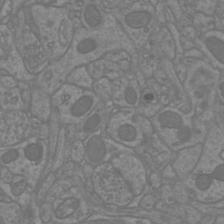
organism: Mouse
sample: Cortical neurons